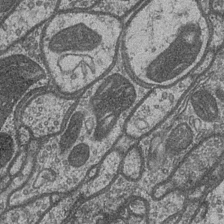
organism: Drosophila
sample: Optic medulla